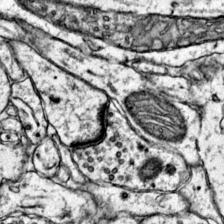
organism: Mouse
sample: Primary visual cortex